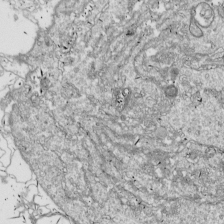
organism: Drosophila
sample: Cell division; meiosis; drosophila spermatocytes